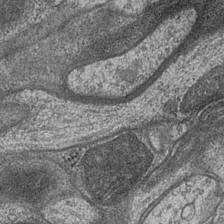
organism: Drosophila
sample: Optic medulla